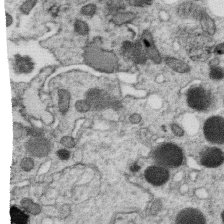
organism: C. elegans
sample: C. elegans oocyte; sperm cells